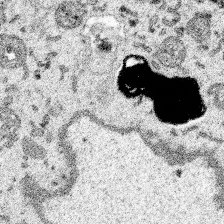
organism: Spongilla lacustris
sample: Multiple